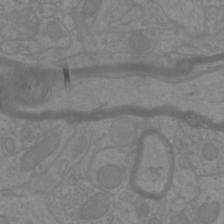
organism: Mouse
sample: Cortical neurons